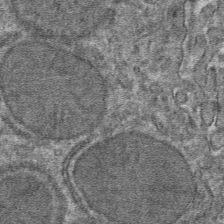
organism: Mouse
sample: Mouse hepatocytes